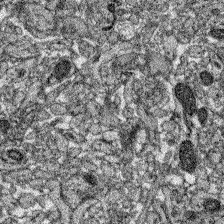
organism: Zebrafish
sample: Larval olfactory bulb